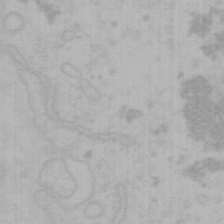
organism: Mouse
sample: Choroid plexus